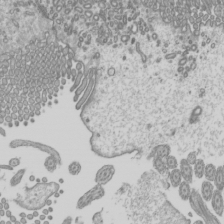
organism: Mouse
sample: Cilia; mouse epididymis